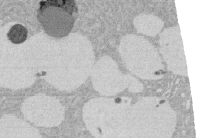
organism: Rat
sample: Salivary granule